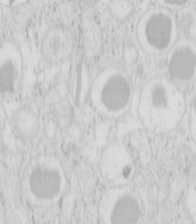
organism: Mouse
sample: Pancreas